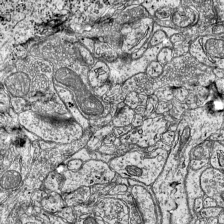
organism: Mouse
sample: Visual Cortex